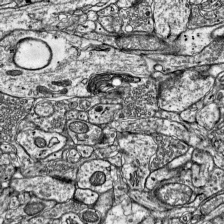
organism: Mouse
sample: Visual Cortex